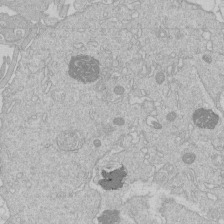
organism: Human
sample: Macrophage cells